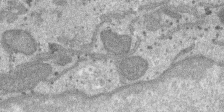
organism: Human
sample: Lung epithelial cells infected with SARS-CoV-2